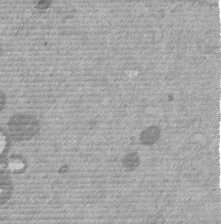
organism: Mouse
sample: Dividing mouse embryo 1 cell stage